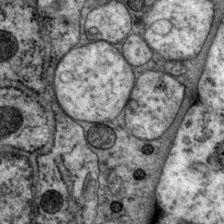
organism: P. pacificus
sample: Pharynx